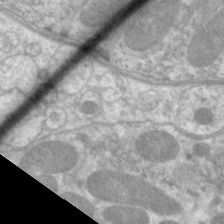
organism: C. elegans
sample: Pharynx